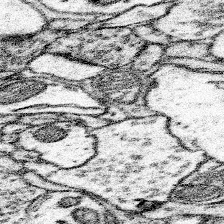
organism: Mouse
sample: Somatosensory cortex neuropil